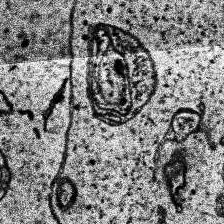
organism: Human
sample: Temporal Lobe